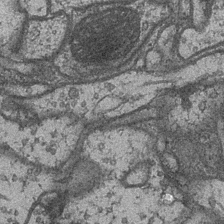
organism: Drosophila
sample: Optic medulla